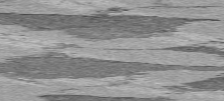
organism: C57BL Mouse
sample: Heart